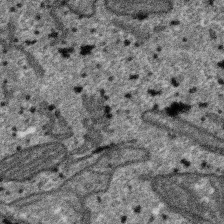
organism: Human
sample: Lung epithelial cells infected with SARS-CoV-2